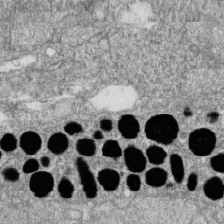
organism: Zebrafish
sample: Cilia; retinal pigment epithelium